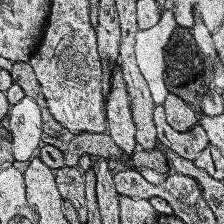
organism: Human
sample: Temporal Lobe